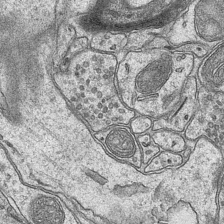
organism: Mouse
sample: CA1 Hippocampus